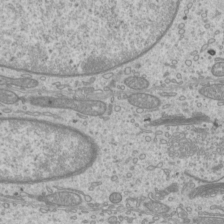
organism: Mouse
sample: Cilia; mouse epididymis